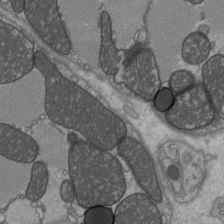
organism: C57BL Mouse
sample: Heart